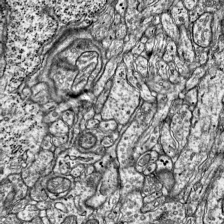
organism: Mouse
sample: Visual Cortex